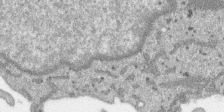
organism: Human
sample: Lung epithelial cells infected with SARS-CoV-2